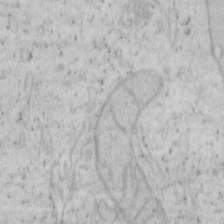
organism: Human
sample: HeLa cells